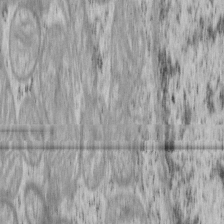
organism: Human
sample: HeLa cells